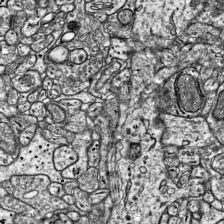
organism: Mouse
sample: Visual Cortex